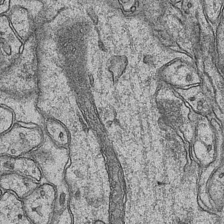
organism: Mouse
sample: CA1 Hippocampus